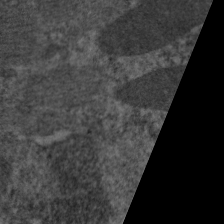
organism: C. elegans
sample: Pharynx